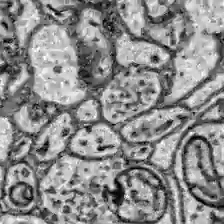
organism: Zebrafish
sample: Brain